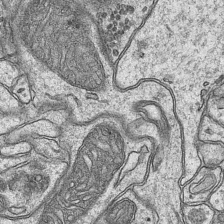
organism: Mouse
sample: CA1 Hippocampus